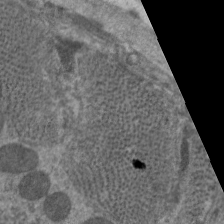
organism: C. elegans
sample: Pharynx